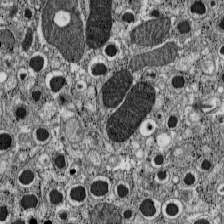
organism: C57BL Mouse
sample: Pancreatic islet